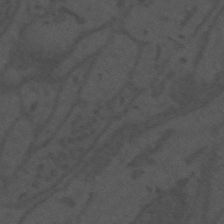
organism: Mouse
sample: Suprachiasmatic nucleus